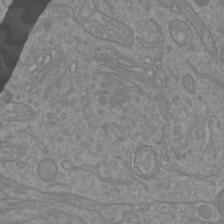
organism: Mouse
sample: Cortical neurons